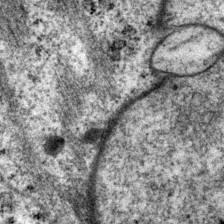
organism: P. pacificus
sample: Pharynx